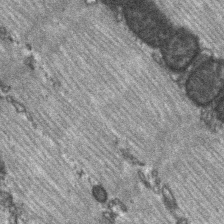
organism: C57BL Mouse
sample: Soleus